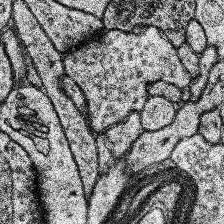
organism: Human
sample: Temporal Lobe